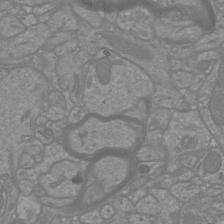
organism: Mouse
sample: Cortical neurons